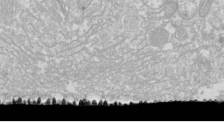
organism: Drosophila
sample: Cell division; meiosis; drosophila spermatocytes